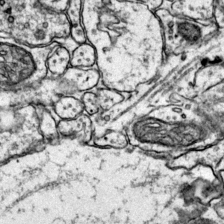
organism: Mouse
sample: Primary visual cortex